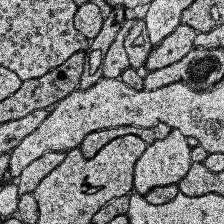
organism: Human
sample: Temporal Lobe